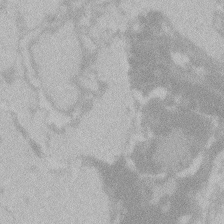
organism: Zebrafish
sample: Macrophage infected with Toxoplasma gondii